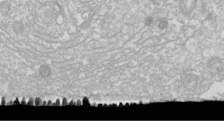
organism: Drosophila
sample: Cell division; meiosis; drosophila spermatocytes